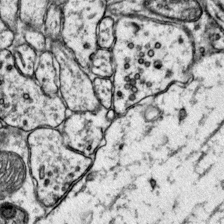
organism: Mouse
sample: Primary visual cortex